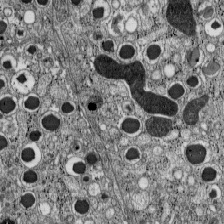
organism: C57BL Mouse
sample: Pancreatic islet